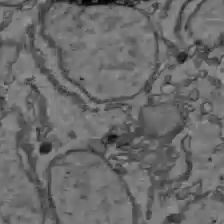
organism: C57BL Mouse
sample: Liver